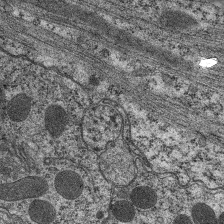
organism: C. elegans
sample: Pharynx